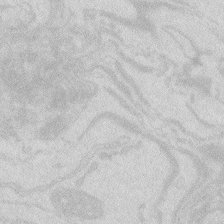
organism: Zebrafish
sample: Macrophage